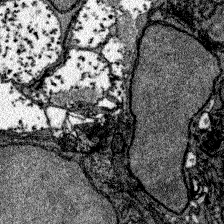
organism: Zebrafish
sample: Larval olfactory bulb